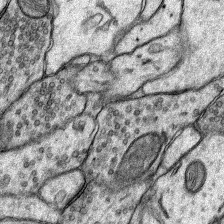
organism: Rat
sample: Hippocampus